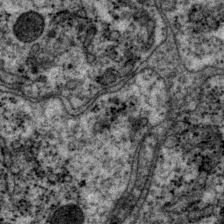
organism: P. pacificus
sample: Pharynx